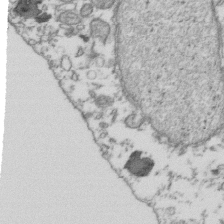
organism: Human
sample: Activated Jurkat CD4+ T cells